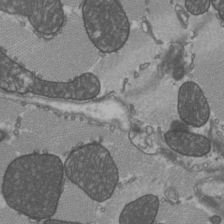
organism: C57BL Mouse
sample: Heart